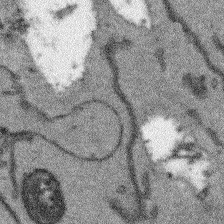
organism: Arabidopsis thaliana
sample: Root tip